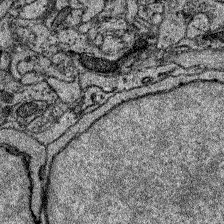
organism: Zebrafish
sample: Larval olfactory bulb